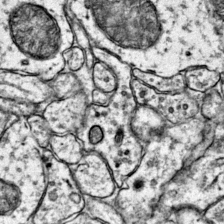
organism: Mouse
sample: Primary visual cortex